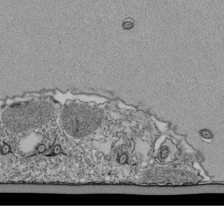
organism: Tetrahymena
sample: Cilia in tetrahymena